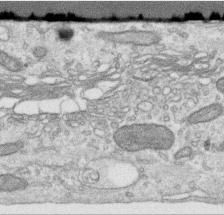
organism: Human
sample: Centriole in RPE cells